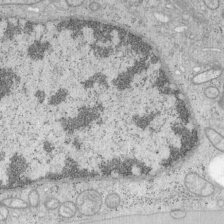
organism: Mouse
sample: OT-I killer T cells with ID8 ovarian cancer cells